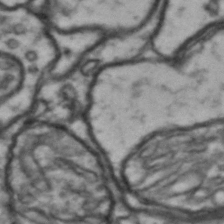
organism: Drosophila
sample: Brain